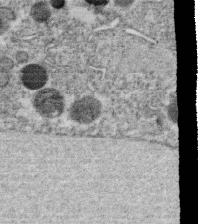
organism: C. elegans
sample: C. elegans oocyte; sperm cells